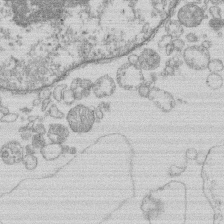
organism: Human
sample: Macrophage cells